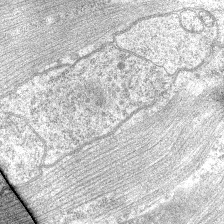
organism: C. elegans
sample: Pharynx